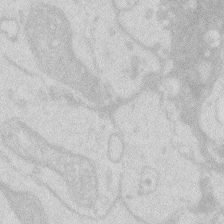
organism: Zebrafish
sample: Macrophage